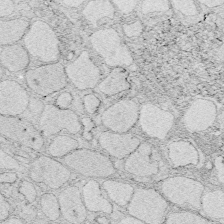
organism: Zebrafish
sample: Whole-Brain